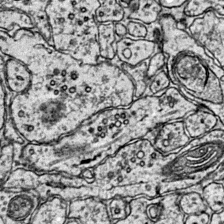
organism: Mouse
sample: Primary visual cortex